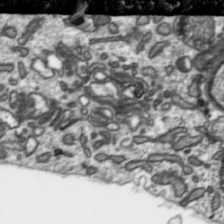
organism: Toxoplasma gondii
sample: Parasites in a vacuole inside a host cell